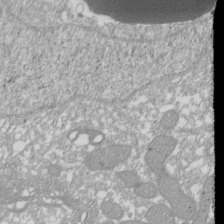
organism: Xenopus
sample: Cilia; centrioles in frog embryo cells